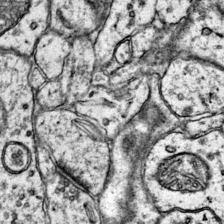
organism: Mouse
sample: Primary visual cortex